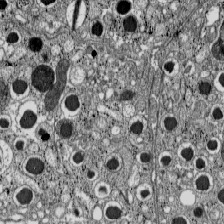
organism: C57BL Mouse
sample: Pancreatic islet